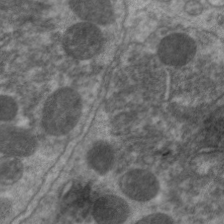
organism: C. elegans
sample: Pharynx